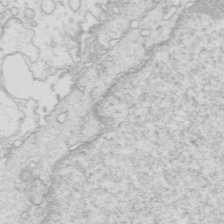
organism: Mouse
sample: Multiciliated cells